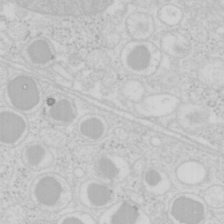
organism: Mouse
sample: Pancreas